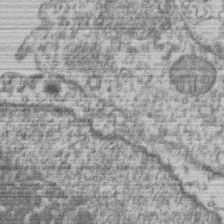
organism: Mouse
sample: T cell stromal cell synapse